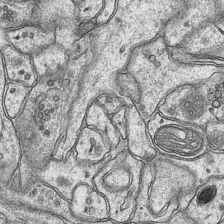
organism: Mouse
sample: CA1 Hippocampus